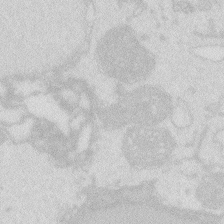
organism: Zebrafish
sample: Macrophage